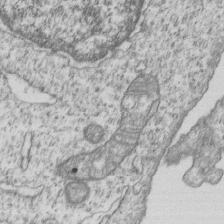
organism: Human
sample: MDA-MB-231 cells